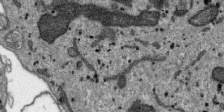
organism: Human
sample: Lung epithelial cells, uninfected (mock) control